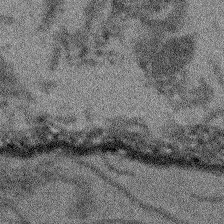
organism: Arabidopsis thaliana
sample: Root tip